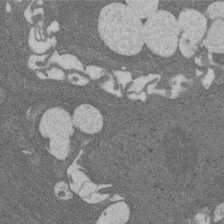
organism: Rat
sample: Salivary granule